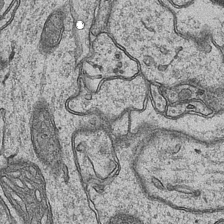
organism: Mouse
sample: CA1 Hippocampus